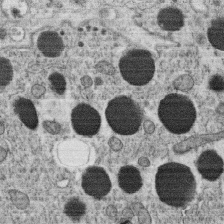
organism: C. elegans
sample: C. elegans oocyte; sperm cells